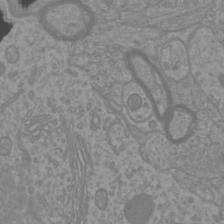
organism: Mouse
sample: Cortical neurons